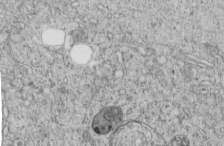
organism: C. elegans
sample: C. elegans embryo early stage